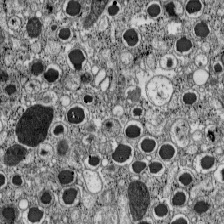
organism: C57BL Mouse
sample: Pancreatic islet